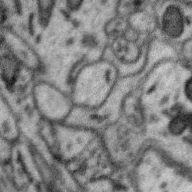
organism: Zebra finch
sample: Brain